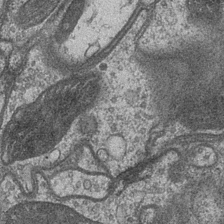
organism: Drosophila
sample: Optic medulla